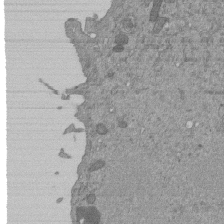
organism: Mouse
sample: ED-1 cell nuclei; centrioles